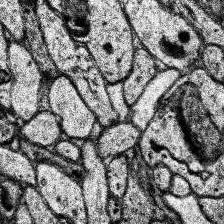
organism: Human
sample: Temporal Lobe